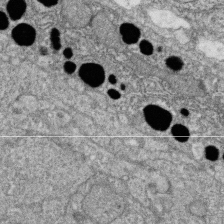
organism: Zebrafish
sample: Cilia; retinal pigment epithelium